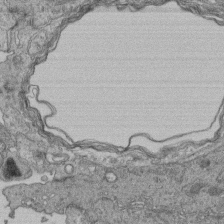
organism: Human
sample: Retinal organoid Rod and Cone cells